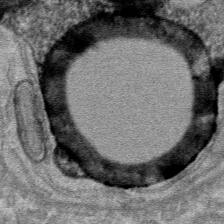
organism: Mouse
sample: Mouse hepatocytes